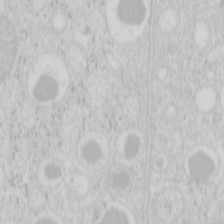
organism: Mouse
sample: Pancreas